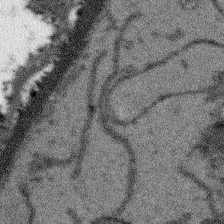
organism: Arabidopsis thaliana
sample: Root tip